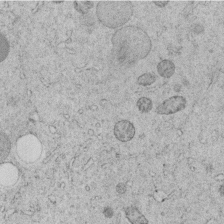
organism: C. elegans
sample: C. elegans embryo early stage